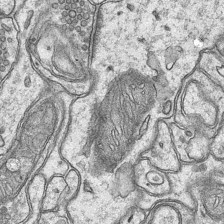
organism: Mouse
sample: CA1 Hippocampus